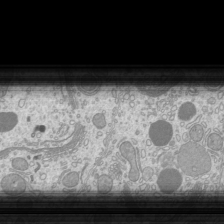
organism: Mouse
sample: Cilia; mouse epididymis